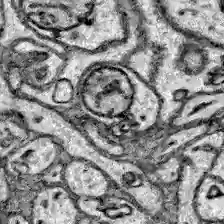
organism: Zebrafish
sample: Brain